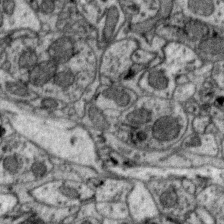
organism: Zebra finch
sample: Brain